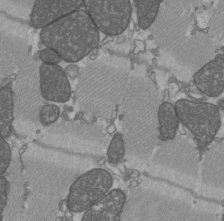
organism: C57BL Mouse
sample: Heart